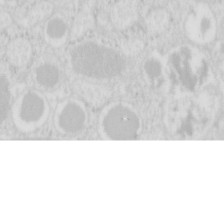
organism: Mouse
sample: Pancreas